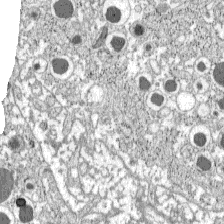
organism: C57BL Mouse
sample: Pancreatic islet